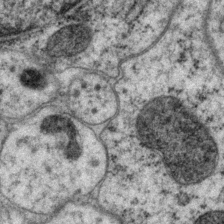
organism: P. pacificus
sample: Pharynx